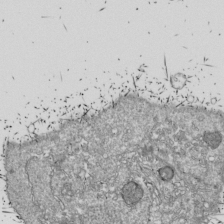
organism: Drosophila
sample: Cell division; meiosis; drosophila spermatocytes